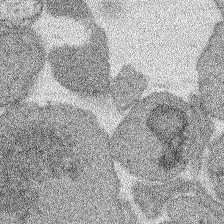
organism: Human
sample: HeLa cells